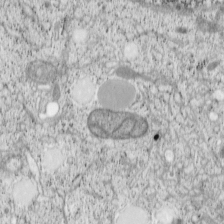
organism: African green monkey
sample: COS-7 cells